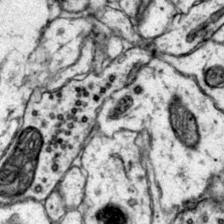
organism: Mouse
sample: Primary visual cortex